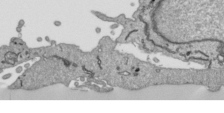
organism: Human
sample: Mitochondria in HCT116 cells